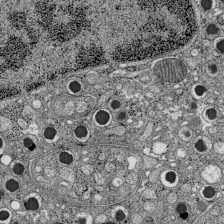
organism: C57BL Mouse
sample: Pancreatic islet